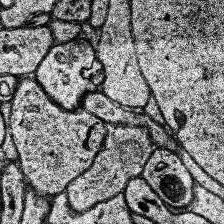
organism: Human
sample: Temporal Lobe